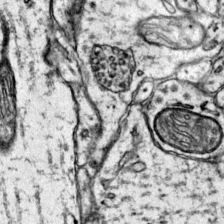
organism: Mouse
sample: Primary visual cortex